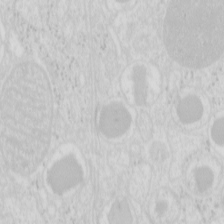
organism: Mouse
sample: Pancreas